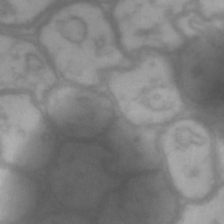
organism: Drosophila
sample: Brain